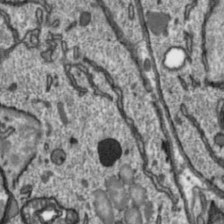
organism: Toxoplasma gondii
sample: Parasites in a vacuole inside a host cell